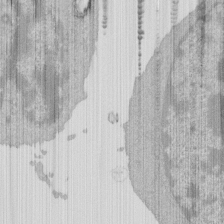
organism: Mouse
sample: Activated Pmel transgenic CD8+ T Cells